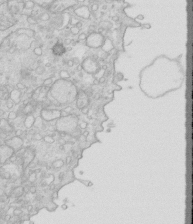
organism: Mouse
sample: Multiciliated cells